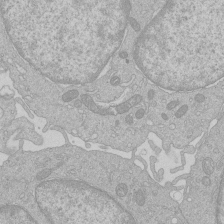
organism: Human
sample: Macrophage cells